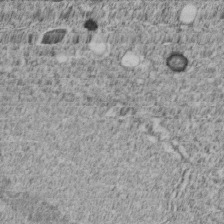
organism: C. elegans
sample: C. elegans embryo early stage